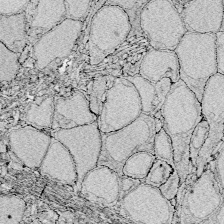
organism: Zebrafish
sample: Whole-Brain